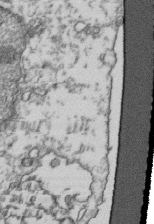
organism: Human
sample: Activated Jurkat CD4+ T cells